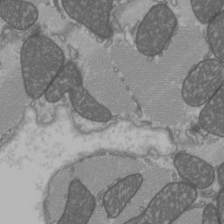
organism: C57BL Mouse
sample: Heart